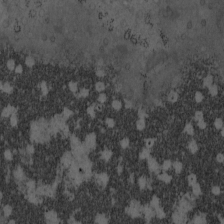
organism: Mouse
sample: OT-I killer T cells with ID8 ovarian cancer cells